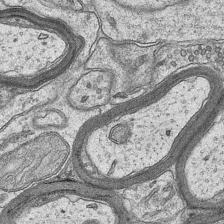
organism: Mouse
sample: CA1 Hippocampus